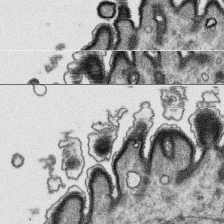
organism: Platynereis dumerilii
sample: Parapodia